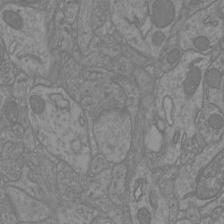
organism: Mouse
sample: Cortical neurons